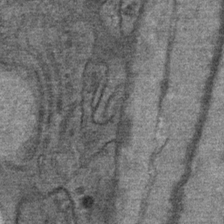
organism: Mouse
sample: Mouse Salivary gland